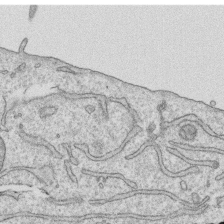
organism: Human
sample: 1205lu cells